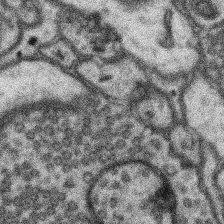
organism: Mouse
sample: Somatosensory cortex neuropil